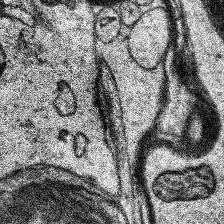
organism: Human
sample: Temporal Lobe